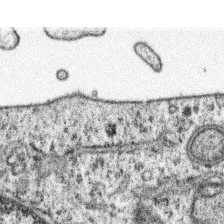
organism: Human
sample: HeLa cells